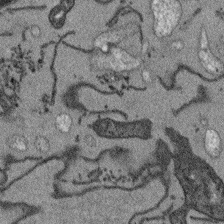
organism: Arabidopsis thaliana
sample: Root tip